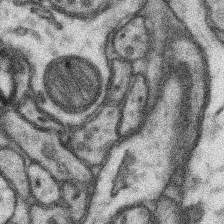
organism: Mouse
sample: Somatosensory cortex neuropil